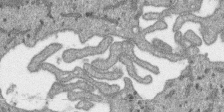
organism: Human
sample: Lung epithelial cells infected with SARS-CoV-2